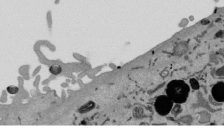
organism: Mouse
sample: ED-1 cell nuclei; centrioles